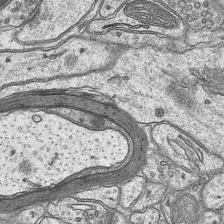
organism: Mouse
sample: CA1 Hippocampus